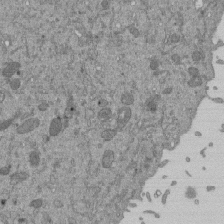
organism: Mouse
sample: ED-1 cell nuclei; centrioles